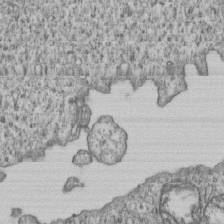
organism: Human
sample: MDA-MB-231 cells